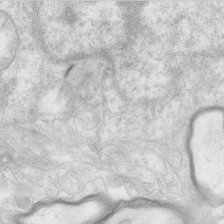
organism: Human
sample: Neocortex